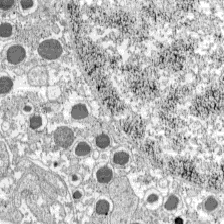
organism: C57BL Mouse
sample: Pancreatic islet